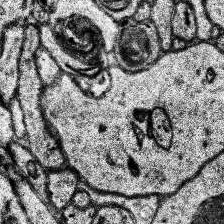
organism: Human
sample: Temporal Lobe